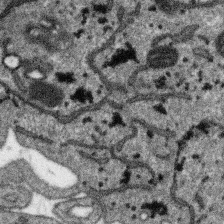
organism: Human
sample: Lung epithelial cells infected with SARS-CoV-2